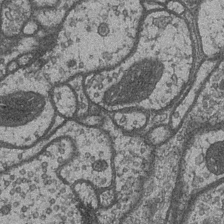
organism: Drosophila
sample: Optic medulla